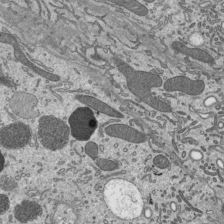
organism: Mouse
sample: Mouse epididymis efferent ductule cilia